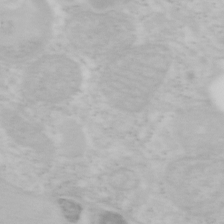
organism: Mouse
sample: OT-I killer T cells with ID8 ovarian cancer cells